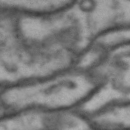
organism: Drosophila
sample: Brain